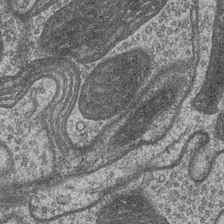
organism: Drosophila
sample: Optic medulla